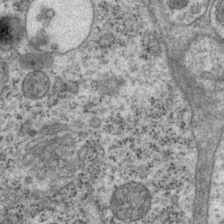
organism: P. pacificus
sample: Pharynx